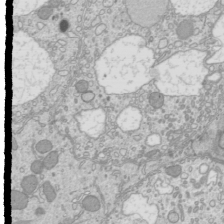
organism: Mouse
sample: Cilia; mouse epididymis